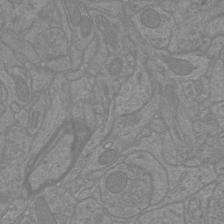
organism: Mouse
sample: Cortical neurons